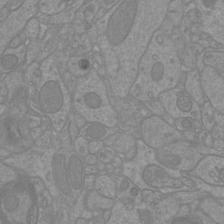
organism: Mouse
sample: Cortical neurons